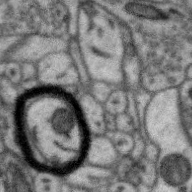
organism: Zebra finch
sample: Brain